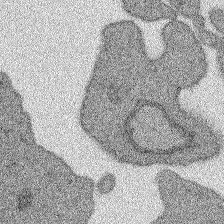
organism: Human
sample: HeLa cells